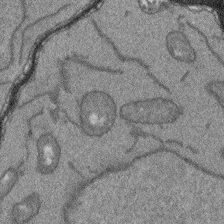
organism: Arabidopsis thaliana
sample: Root tip